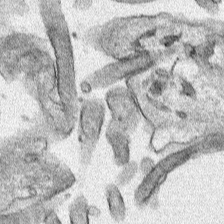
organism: Human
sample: Mitochondria in HCT116 cells